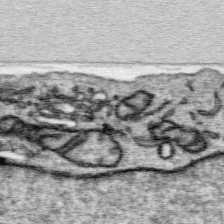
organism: Human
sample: HeLa cells